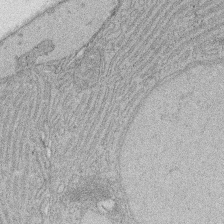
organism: Rat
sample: Salivary granule